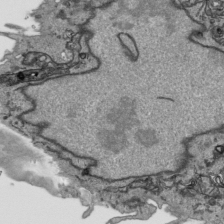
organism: Human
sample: Mitochondria in HCT116 cells